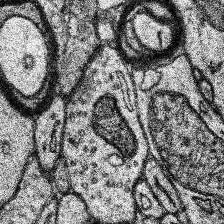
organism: Human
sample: Temporal Lobe